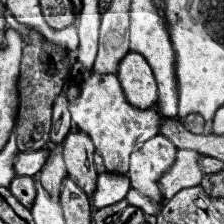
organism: Human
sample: Temporal Lobe